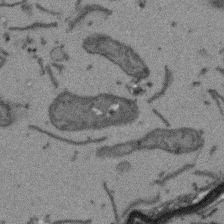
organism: Arabidopsis thaliana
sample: Root tip